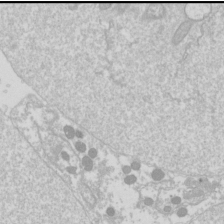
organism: Drosophila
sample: Cell division; meiosis; drosophila spermatocytes